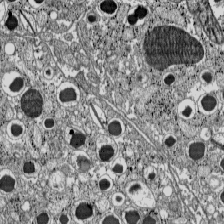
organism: C57BL Mouse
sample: Pancreatic islet